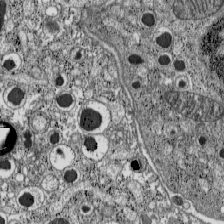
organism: C57BL Mouse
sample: Pancreatic islet